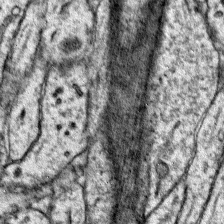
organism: Mouse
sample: Primary visual cortex